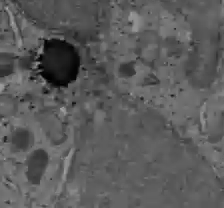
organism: C57BL Mouse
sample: Liver